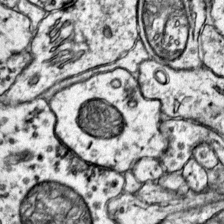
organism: Mouse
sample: Primary visual cortex